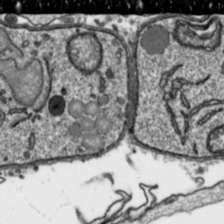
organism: Toxoplasma gondii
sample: Parasites in a vacuole inside a host cell